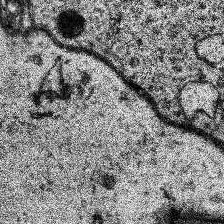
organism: Human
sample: Temporal Lobe